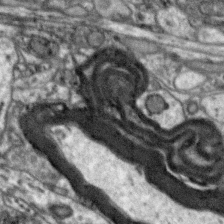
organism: Zebra finch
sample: Brain